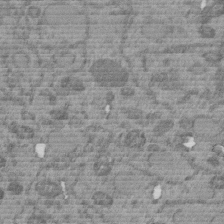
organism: C. elegans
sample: C. elegans embryo early stage